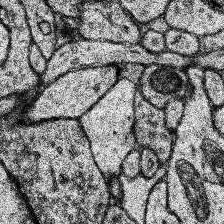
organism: Human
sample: Temporal Lobe